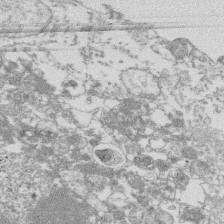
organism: Human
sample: HeLa cell HIV synapse